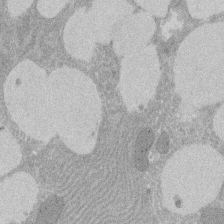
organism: Rat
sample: Salivary granule